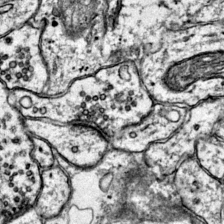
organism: Mouse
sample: Primary visual cortex